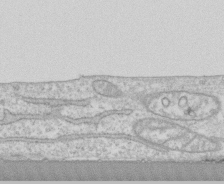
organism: Human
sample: CRL-1474